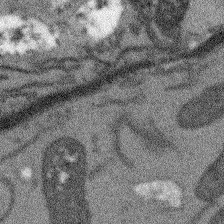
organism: Arabidopsis thaliana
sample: Root tip